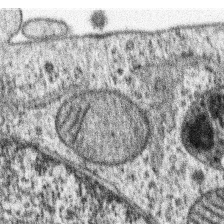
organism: Human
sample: HeLa cells